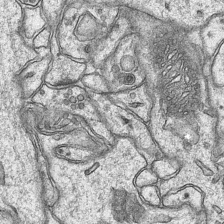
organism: Mouse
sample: CA1 Hippocampus